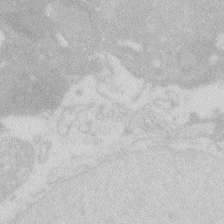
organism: Zebrafish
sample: Macrophage